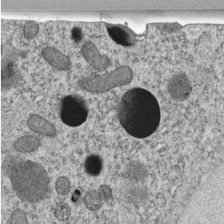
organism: C. elegans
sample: C. elegans embryo early stage